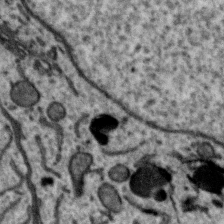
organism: Zebra finch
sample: Brain